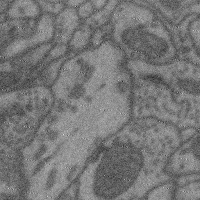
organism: Mouse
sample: Cerebral cortex